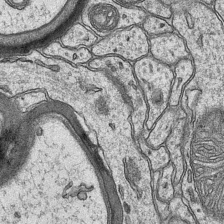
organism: Mouse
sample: CA1 Hippocampus